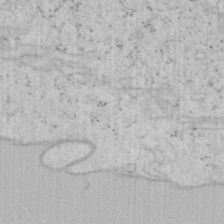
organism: Human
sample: HeLa cells